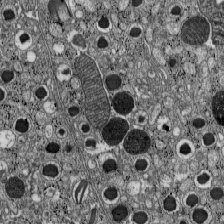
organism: C57BL Mouse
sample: Pancreatic islet